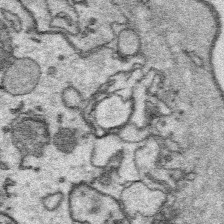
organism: Platynereis dumerilii